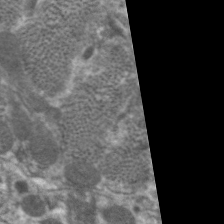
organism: C. elegans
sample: Pharynx